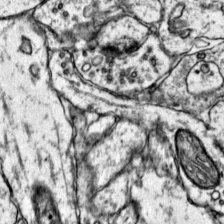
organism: Mouse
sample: Primary visual cortex